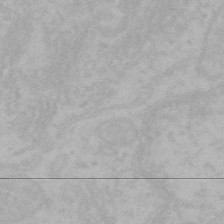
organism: Mouse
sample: Choroid plexus